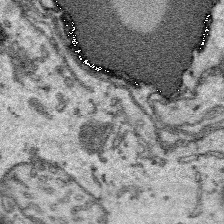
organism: Platynereis dumerilii